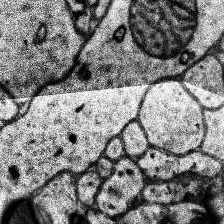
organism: Human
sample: Temporal Lobe